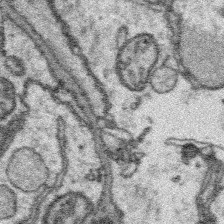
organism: Platynereis dumerilii